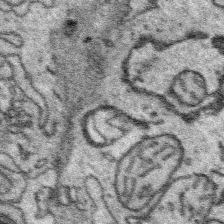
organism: Platynereis dumerilii